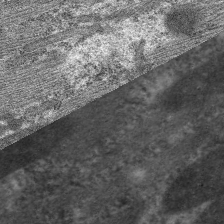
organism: C. elegans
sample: Pharynx